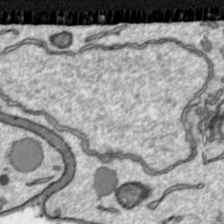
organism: Toxoplasma gondii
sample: Parasites in a vacuole inside a host cell